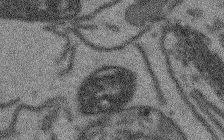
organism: Arabidopsis thaliana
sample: Root tip